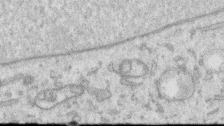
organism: Human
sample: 1205lu cells